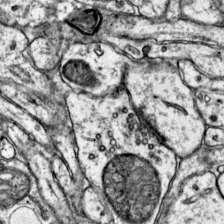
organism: Mouse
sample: Primary visual cortex